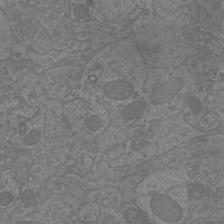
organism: Mouse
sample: Cortical neurons